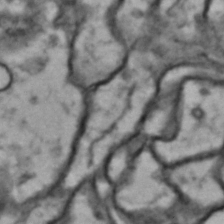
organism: Drosophila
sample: Brain